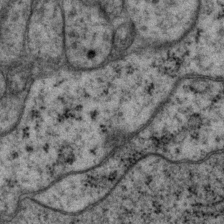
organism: P. pacificus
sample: Pharynx